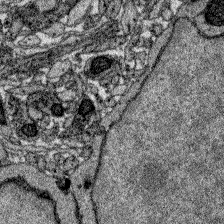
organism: Zebrafish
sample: Larval olfactory bulb